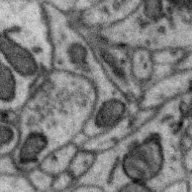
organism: Zebra finch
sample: Brain